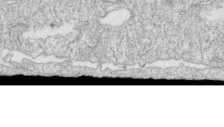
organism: Human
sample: HeLa cell HIV synapse